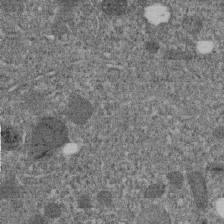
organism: C. elegans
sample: C. elegans embryo early stage